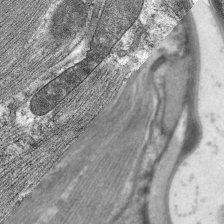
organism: C. elegans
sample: Pharynx